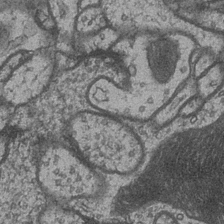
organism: Drosophila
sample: Optic medulla